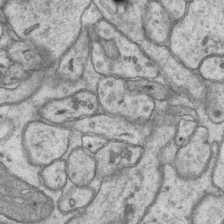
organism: Mouse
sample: CA1 Hippocampus